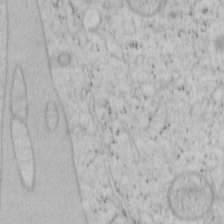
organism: Human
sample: HeLa cells